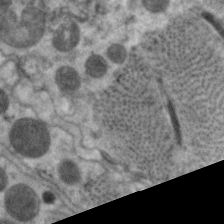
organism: C. elegans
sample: Pharynx